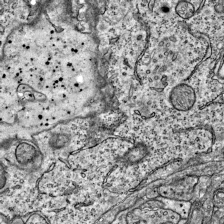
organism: Mouse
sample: Visual Cortex